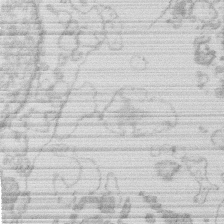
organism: Human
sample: Macrophage cells